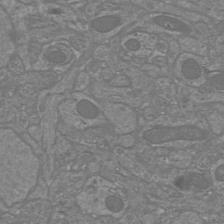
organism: Mouse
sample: Cortical neurons